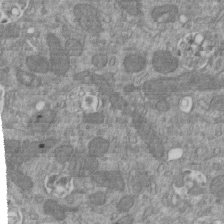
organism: Mouse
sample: ED-1 cell nuclei; centrioles